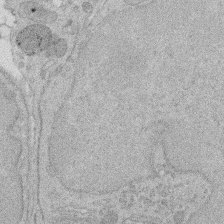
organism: Rat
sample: Salivary granule